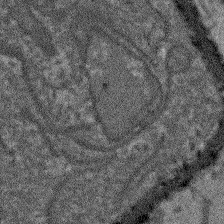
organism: Arabidopsis thaliana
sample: Root tip